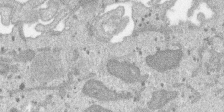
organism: Human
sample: Lung epithelial cells infected with SARS-CoV-2